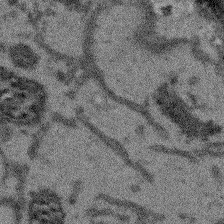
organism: Arabidopsis thaliana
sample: Root tip